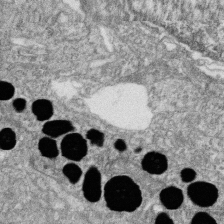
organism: Zebrafish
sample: Cilia; retinal pigment epithelium